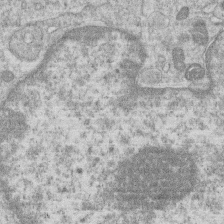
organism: Human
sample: Macrophage cells